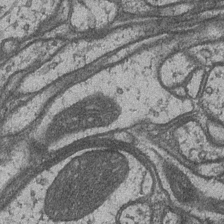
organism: Drosophila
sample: Optic medulla